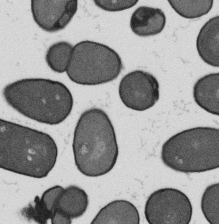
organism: B. subtilis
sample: Bacterial spore